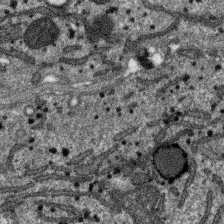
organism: Human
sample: Lung epithelial cells infected with SARS-CoV-2